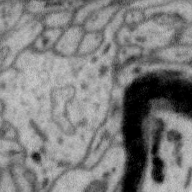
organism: Zebra finch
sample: Brain